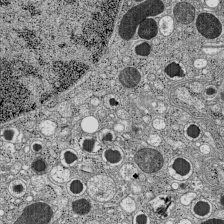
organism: C57BL Mouse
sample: Pancreatic islet